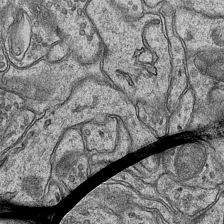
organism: Mouse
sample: CA1 Hippocampus